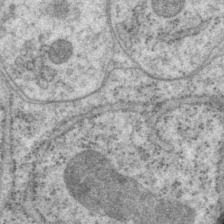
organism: P. pacificus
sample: Pharynx